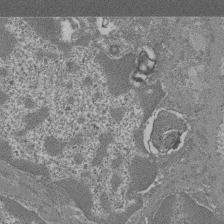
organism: Mouse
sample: Glomerulus